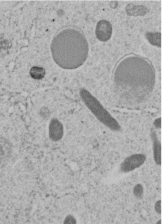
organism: C. elegans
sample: C. elegans embryo early stage